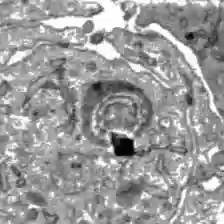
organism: C57BL Mouse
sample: Liver